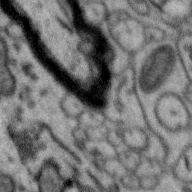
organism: Zebra finch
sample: Brain